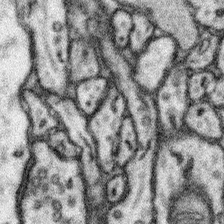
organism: Mouse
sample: Somatosensory cortex neuropil